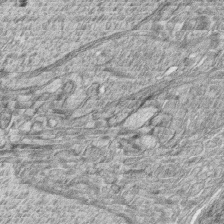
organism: Zebrafish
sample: synaptic ribbons in rod cells and cone cells